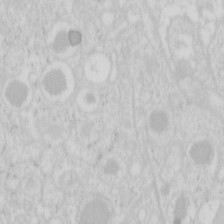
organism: Mouse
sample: Pancreas